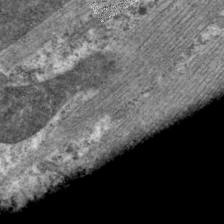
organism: C. elegans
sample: Pharynx